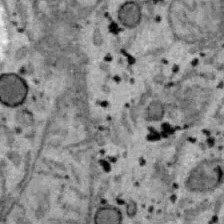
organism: Mouse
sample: Liver from an obese (ob/ob) mouse